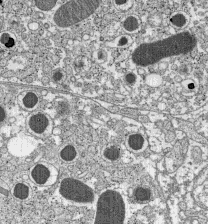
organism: C57BL Mouse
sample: Pancreatic islet